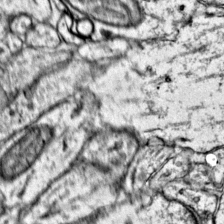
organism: Mouse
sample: Primary visual cortex